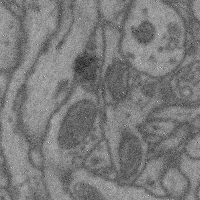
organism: Mouse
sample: Cerebral cortex